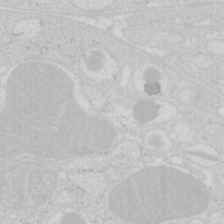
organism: Mouse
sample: Pancreas